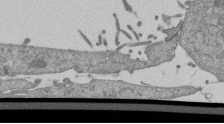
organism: Mouse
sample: ED-1 cell nuclei; centrioles